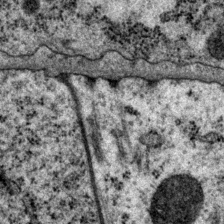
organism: P. pacificus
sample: Pharynx